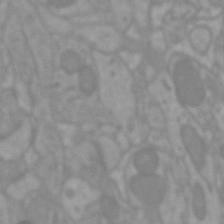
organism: Mouse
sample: Cortical neurons